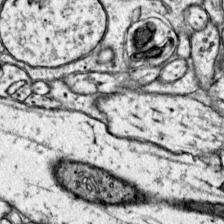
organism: Mouse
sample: Primary visual cortex